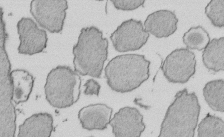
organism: E. coli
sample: Bacterial nucleoid